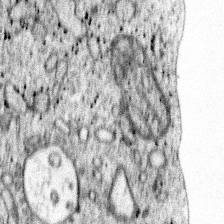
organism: Human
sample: HeLa cells